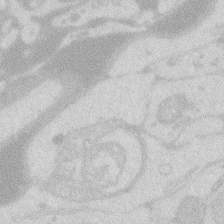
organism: Zebrafish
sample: Macrophage